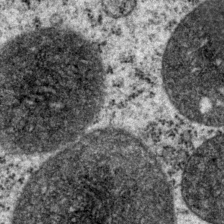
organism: P. pacificus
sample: Pharynx